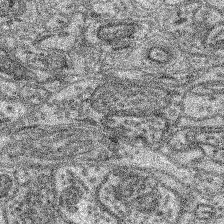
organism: Mouse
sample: Retina